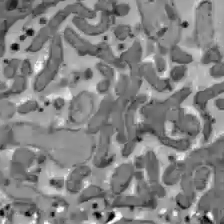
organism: C57BL Mouse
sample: Liver